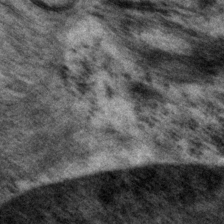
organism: P. pacificus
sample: Pharynx